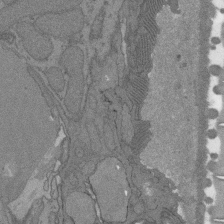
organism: C. elegans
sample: AFD neurons C. elegans